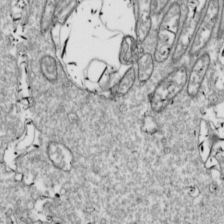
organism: Drosophila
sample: Cell division; meiosis; drosophila spermatocytes